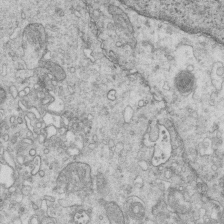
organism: Mouse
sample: Multiciliated cells